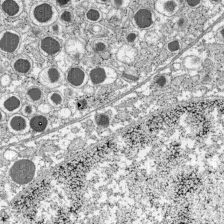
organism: C57BL Mouse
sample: Pancreatic islet